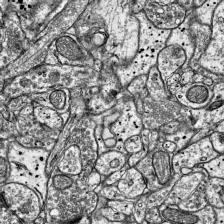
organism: Mouse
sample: Visual Cortex